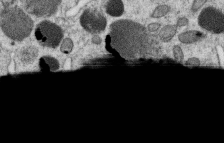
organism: C. elegans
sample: C. elegans oocyte; sperm cells